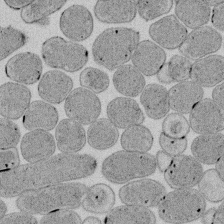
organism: E. coli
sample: Bacterial nucleoid